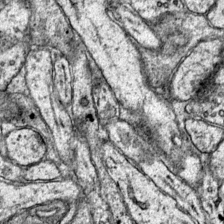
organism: Mouse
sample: Primary visual cortex